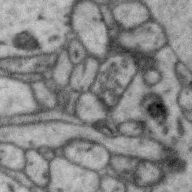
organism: Zebra finch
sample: Brain